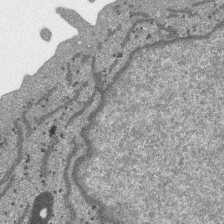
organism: Human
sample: Lung epithelial cells infected with SARS-CoV-2